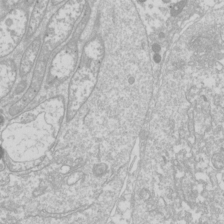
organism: Drosophila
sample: Cell division; meiosis; drosophila spermatocytes